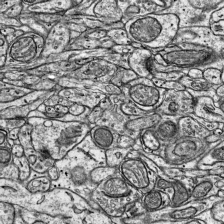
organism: Mouse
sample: Visual Cortex